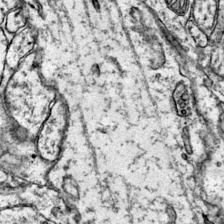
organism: Mouse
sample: Primary visual cortex